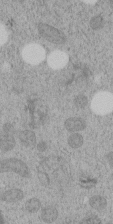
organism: C. elegans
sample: C. elegans embryo early stage